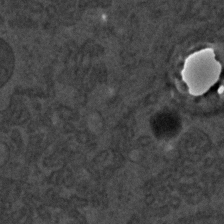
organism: C. elegans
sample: C. elegans embryo